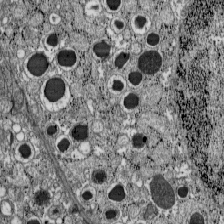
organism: C57BL Mouse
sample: Pancreatic islet